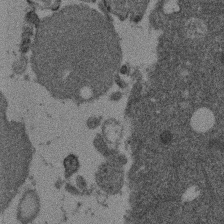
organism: Mouse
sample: Dividing mouse embryo 1 cell stage